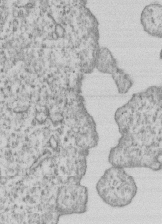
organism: Human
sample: MDA-MB-231 cells